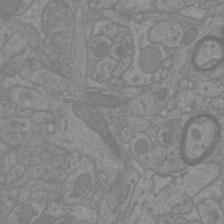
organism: Mouse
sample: Cortical neurons